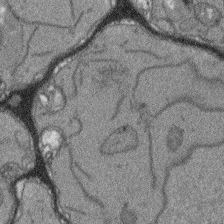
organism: Arabidopsis thaliana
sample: Root tip